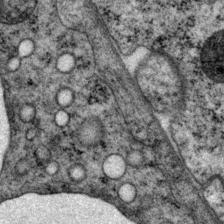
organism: P. pacificus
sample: Pharynx